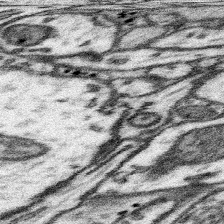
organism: Mouse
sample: Somatosensory cortex neuropil